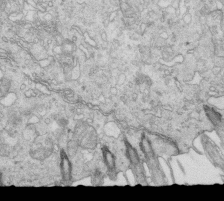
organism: Mouse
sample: Multiciliated cells